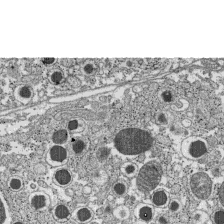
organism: C57BL Mouse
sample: Pancreatic islet